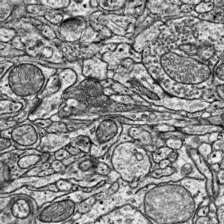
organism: Mouse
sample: Visual Cortex